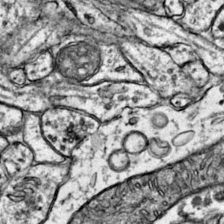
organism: Mouse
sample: Primary visual cortex